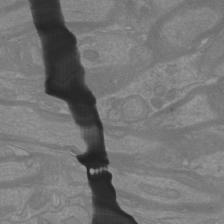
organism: Mouse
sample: Cortical neurons